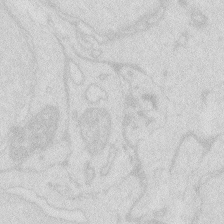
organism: Zebrafish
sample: Macrophage